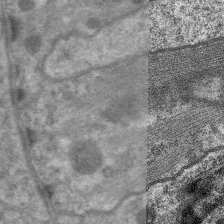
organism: C. elegans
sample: Pharynx